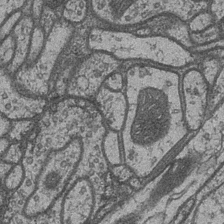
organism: Drosophila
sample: Optic medulla